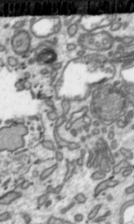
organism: Toxoplasma gondii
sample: Parasites in a vacuole inside a host cell